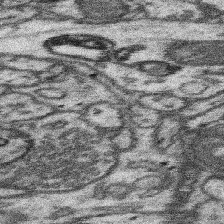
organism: Mouse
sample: Somatosensory cortex neuropil